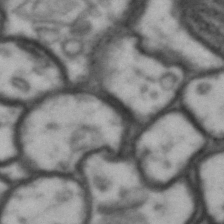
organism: Drosophila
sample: Brain